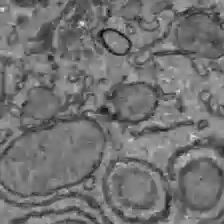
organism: C57BL Mouse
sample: Liver